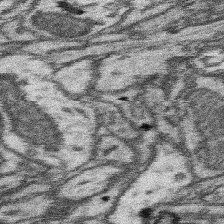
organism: Mouse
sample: Somatosensory cortex neuropil